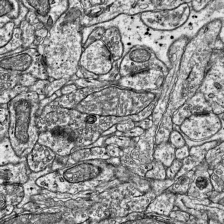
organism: Mouse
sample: Visual Cortex